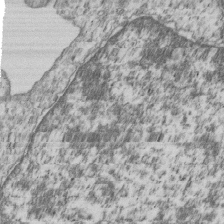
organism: Human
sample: MDA-MB-231 cells